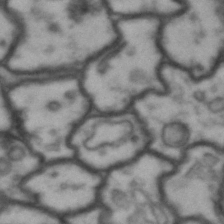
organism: Drosophila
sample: Brain